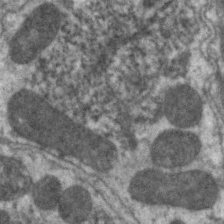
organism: C. elegans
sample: Pharynx